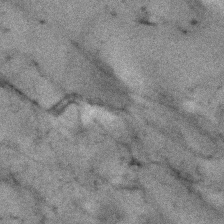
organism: Human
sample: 1205lu cells